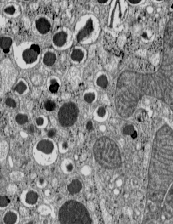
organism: C57BL Mouse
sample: Pancreatic islet